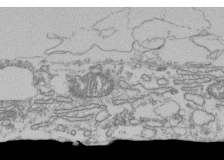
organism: Human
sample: Fibroblast cells